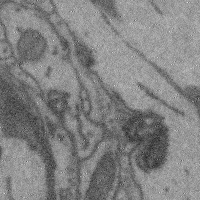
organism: Mouse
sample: Cerebral cortex